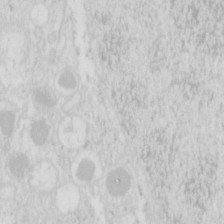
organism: Mouse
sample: Pancreas